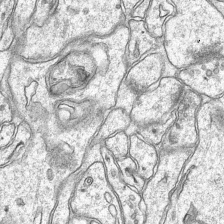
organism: Mouse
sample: CA1 Hippocampus